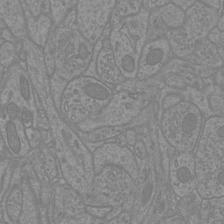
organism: Mouse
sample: Cortical neurons